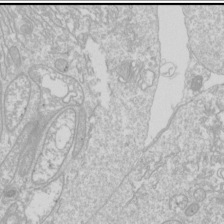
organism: Drosophila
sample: Cell division; meiosis; drosophila spermatocytes